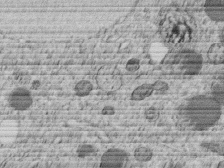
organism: C. elegans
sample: C. elegans embryo early stage